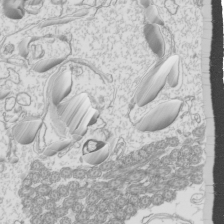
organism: Mouse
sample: Cilia; mouse epididymis